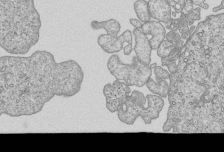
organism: Human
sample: MDA-MB-231 cells